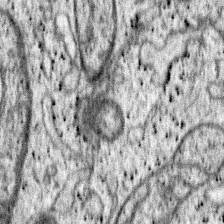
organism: Human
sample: HeLa cells